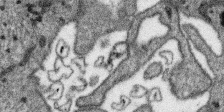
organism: Human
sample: Lung epithelial cells infected with SARS-CoV-2